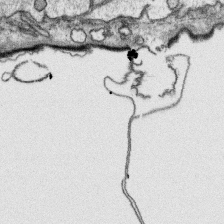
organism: Platynereis dumerilii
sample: Parapodia